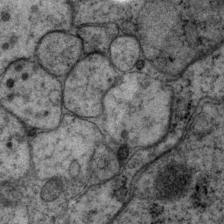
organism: P. pacificus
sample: Pharynx